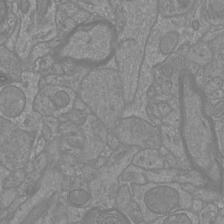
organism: Mouse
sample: Cortical neurons